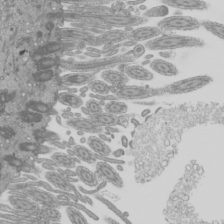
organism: Mouse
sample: Cilia; mouse epididymis